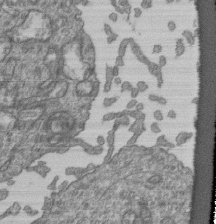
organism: Human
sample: Retinal organoid Rod and Cone cells